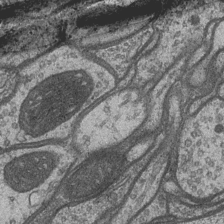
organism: Drosophila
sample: Optic medulla